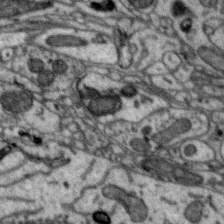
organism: Zebra finch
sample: Brain